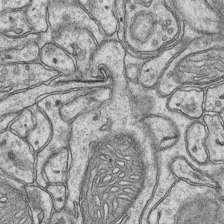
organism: Mouse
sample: CA1 Hippocampus